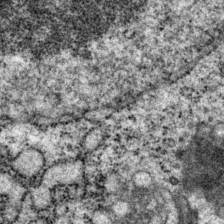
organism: P. pacificus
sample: Pharynx